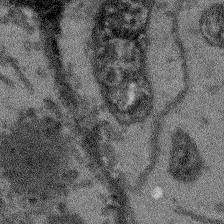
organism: Arabidopsis thaliana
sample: Root tip